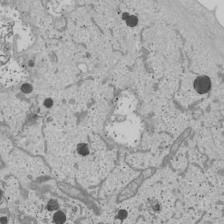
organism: Human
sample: Mitochondria in U2OS cells